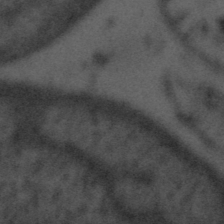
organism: Tuwongella immobilis